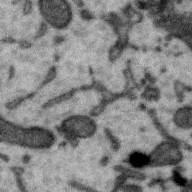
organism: Zebra finch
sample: Brain